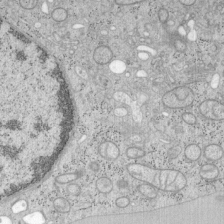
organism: Mouse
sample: OT-I killer T cells with ID8 ovarian cancer cells